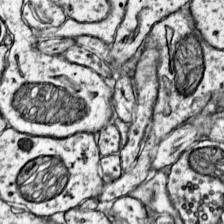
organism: Mouse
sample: Primary visual cortex